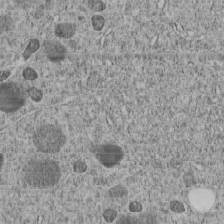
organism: C. elegans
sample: C. elegans embryo early stage